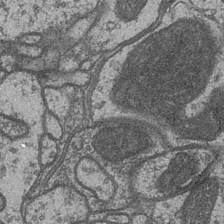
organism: Drosophila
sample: Optic medulla